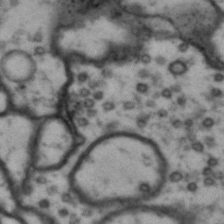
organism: Drosophila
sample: Brain